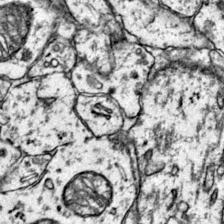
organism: Mouse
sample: Primary visual cortex